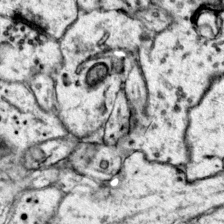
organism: Mouse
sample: Primary visual cortex